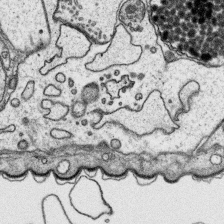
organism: Platynereis dumerilii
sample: Parapodia